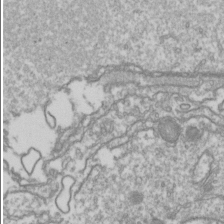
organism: Drosophila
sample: Cell division; meiosis; drosophila spermatocytes